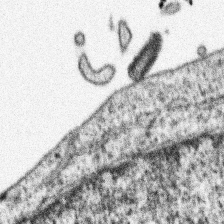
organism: Human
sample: HeLa cells